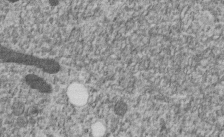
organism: C. elegans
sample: C. elegans embryo early stage